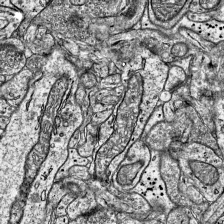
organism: Mouse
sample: Visual Cortex